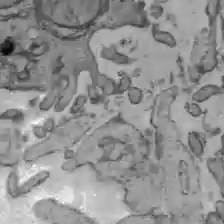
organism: C57BL Mouse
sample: Liver